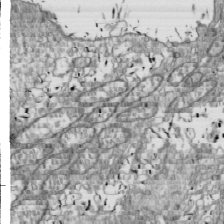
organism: Drosophila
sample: Cell division; meiosis; drosophila spermatocytes